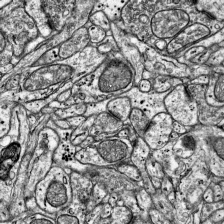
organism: Mouse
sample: Visual Cortex